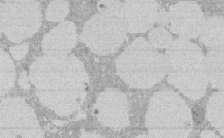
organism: Rat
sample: Salivary granule